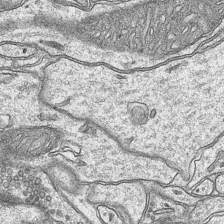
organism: Mouse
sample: CA1 Hippocampus